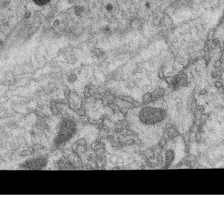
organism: C. elegans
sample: C. elegans oocyte; sperm cells